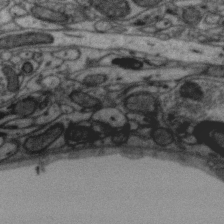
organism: Zebra finch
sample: Brain